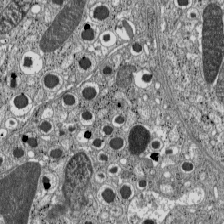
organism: C57BL Mouse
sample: Pancreatic islet